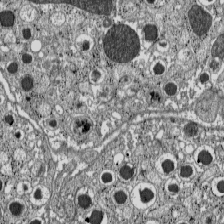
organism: C57BL Mouse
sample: Pancreatic islet